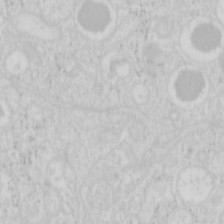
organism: Mouse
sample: Pancreas